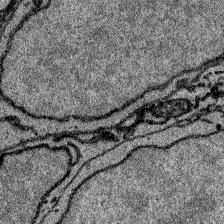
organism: Zebrafish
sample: Larval olfactory bulb